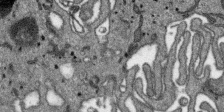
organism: Human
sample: Lung epithelial cells, uninfected (mock) control